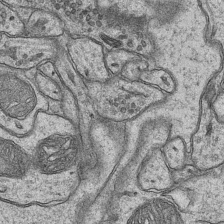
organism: Mouse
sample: CA1 Hippocampus